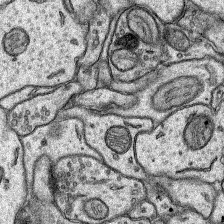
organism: Rat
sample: Hippocampus